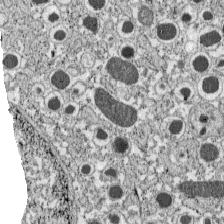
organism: C57BL Mouse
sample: Pancreatic islet